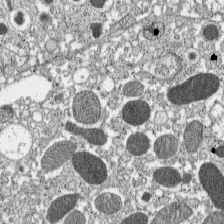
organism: C57BL Mouse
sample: Pancreatic islet